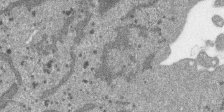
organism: Human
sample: Lung epithelial cells infected with SARS-CoV-2